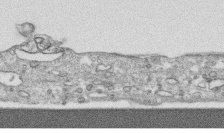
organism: Human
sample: CRL-1474